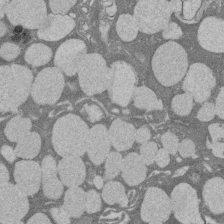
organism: Rat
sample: Salivary granule